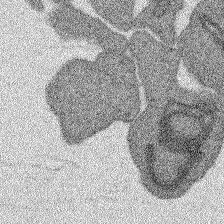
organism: Human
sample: HeLa cells